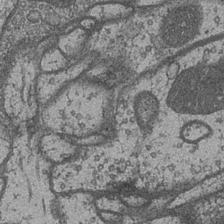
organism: Drosophila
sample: Optic medulla